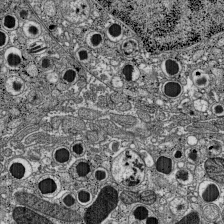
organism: C57BL Mouse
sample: Pancreatic islet